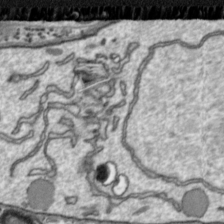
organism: Toxoplasma gondii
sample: Parasites in a vacuole inside a host cell